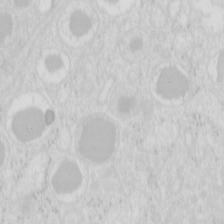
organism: Mouse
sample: Pancreas